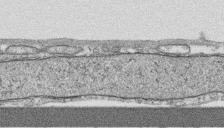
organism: Human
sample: CRL-1474